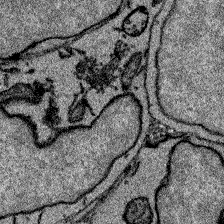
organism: Zebrafish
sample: Larval olfactory bulb